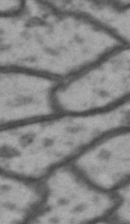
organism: Drosophila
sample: Brain